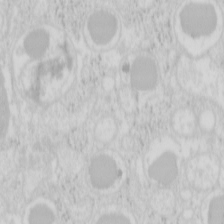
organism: Mouse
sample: Pancreas